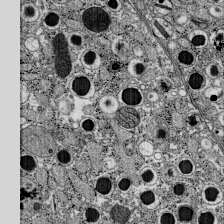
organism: C57BL Mouse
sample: Pancreatic islet